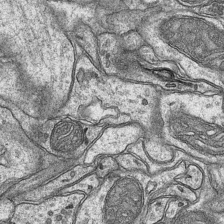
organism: Mouse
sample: CA1 Hippocampus